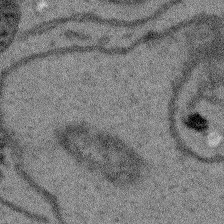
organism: Arabidopsis thaliana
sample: Root tip